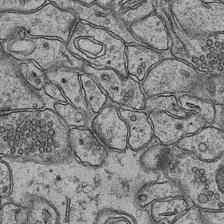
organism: Mouse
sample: CA1 Hippocampus